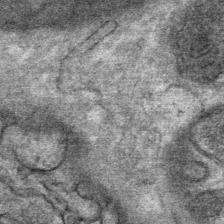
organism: Mouse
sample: Mouse Salivary gland